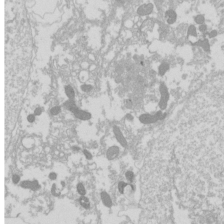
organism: Drosophila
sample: Cell division; meiosis; drosophila spermatocytes